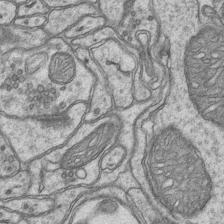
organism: Mouse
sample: CA1 Hippocampus